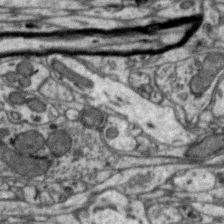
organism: Zebra finch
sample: Brain